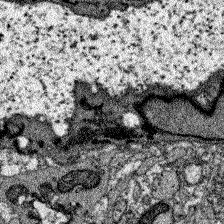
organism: Zebrafish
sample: Larval olfactory bulb